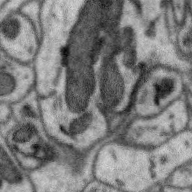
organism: Zebra finch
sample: Brain